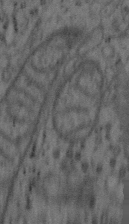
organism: Human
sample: HeLa cells